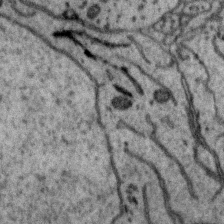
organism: Zebra finch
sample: Brain